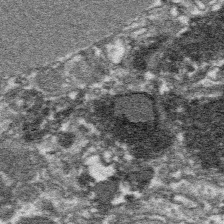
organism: Platynereis dumerilii